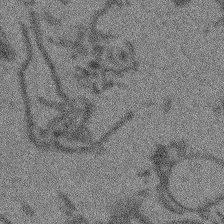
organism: Arabidopsis thaliana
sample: Root tip